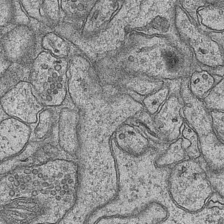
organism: Mouse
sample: CA1 Hippocampus